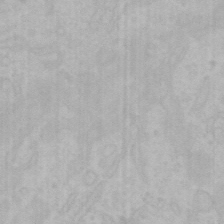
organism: Mouse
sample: Choroid plexus